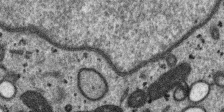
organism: Human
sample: Lung epithelial cells infected with SARS-CoV-2